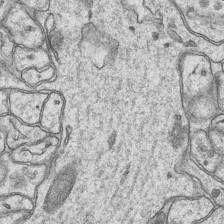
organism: Mouse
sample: CA1 Hippocampus